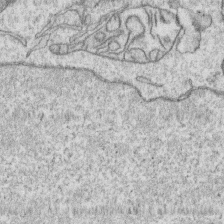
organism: Human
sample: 1205lu cells